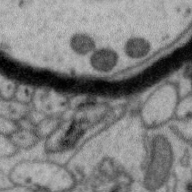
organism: Zebra finch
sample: Brain